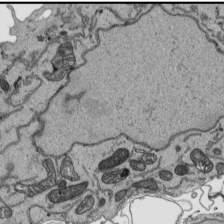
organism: Human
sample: Mitochondria in HCT116 cells